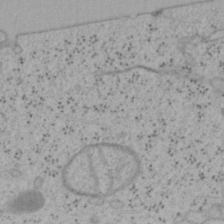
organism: Human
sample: HeLa cells